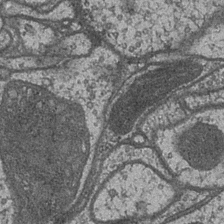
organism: Drosophila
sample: Optic medulla